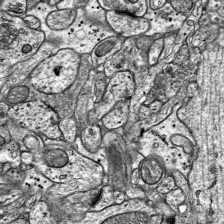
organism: Mouse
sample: Visual Cortex